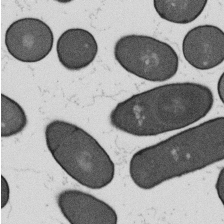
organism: B. subtilis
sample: Bacterial spore